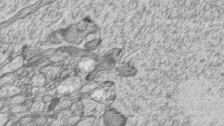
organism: Zebrafish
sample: synaptic ribbons in rod cells and cone cells